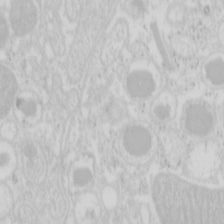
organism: Mouse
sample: Pancreas